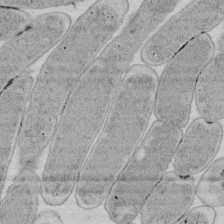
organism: E. coli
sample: Bacterial nucleoid